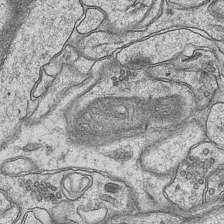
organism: Mouse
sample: CA1 Hippocampus